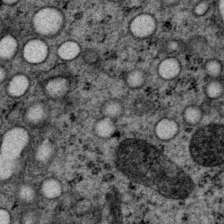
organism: P. pacificus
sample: Pharynx